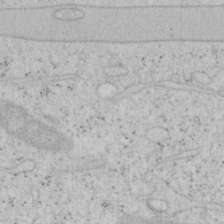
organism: Human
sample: HeLa cells